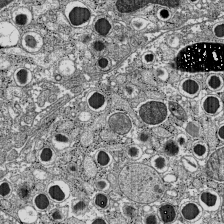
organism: C57BL Mouse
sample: Pancreatic islet